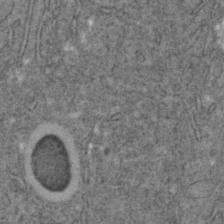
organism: C. elegans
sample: C. elegans embryo